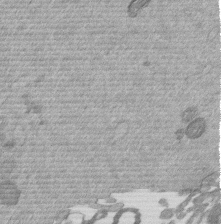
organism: Mouse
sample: Dividing mouse embryo 1 cell stage